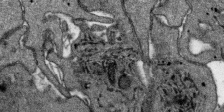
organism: Human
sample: Lung epithelial cells, uninfected (mock) control